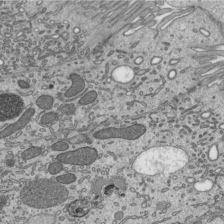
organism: Mouse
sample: Mouse epididymis efferent ductule cilia